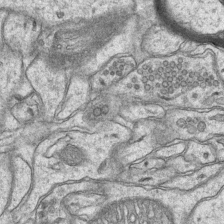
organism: Mouse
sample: CA1 Hippocampus